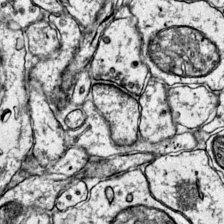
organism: Mouse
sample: Primary visual cortex